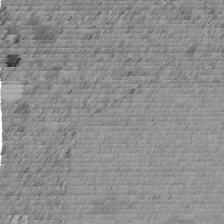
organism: C. elegans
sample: C. elegans embryo early stage